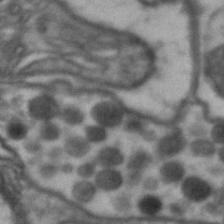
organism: Drosophila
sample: Brain